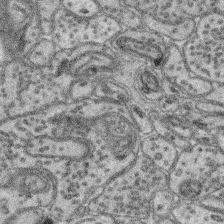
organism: Mouse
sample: Retina